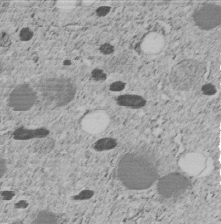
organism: C. elegans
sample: C. elegans embryo early stage